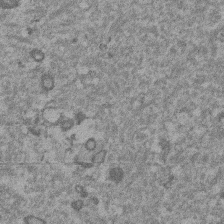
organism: Mouse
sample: Dividing mouse embryo 1 cell stage